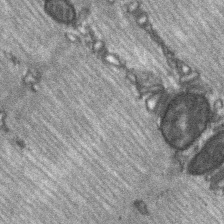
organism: C57BL Mouse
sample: Soleus